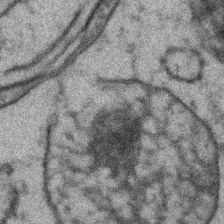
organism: Zebrafish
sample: Zebrafish embryo